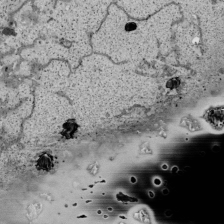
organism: Human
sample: Mitochondria in HCT116 cells